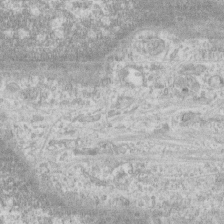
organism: Human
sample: CRL-1474